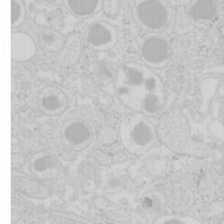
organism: Mouse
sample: Pancreas